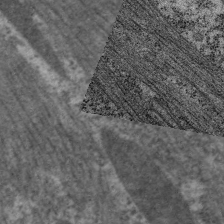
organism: C. elegans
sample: Pharynx